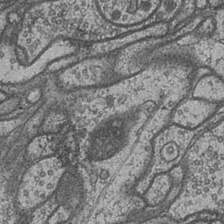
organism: Drosophila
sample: Optic medulla